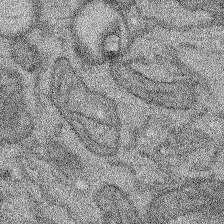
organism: Human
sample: HeLa cells